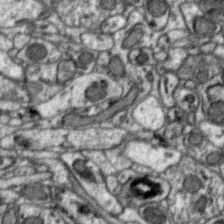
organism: Zebra finch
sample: Brain